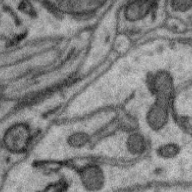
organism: Zebra finch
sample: Brain